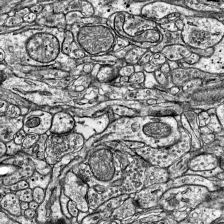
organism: Mouse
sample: Visual Cortex